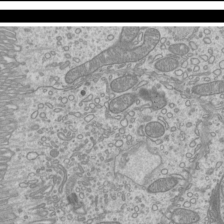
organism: Mouse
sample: Cilia; mouse epididymis